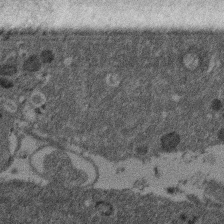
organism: Mouse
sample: Dividing mouse embryo 1 cell stage